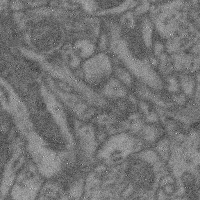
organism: Mouse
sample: Cerebral cortex